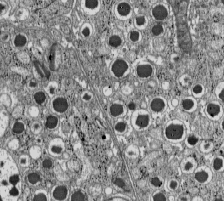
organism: C57BL Mouse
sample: Pancreatic islet